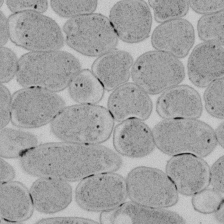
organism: E. coli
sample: Bacterial nucleoid